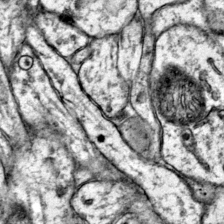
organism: Mouse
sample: Primary visual cortex